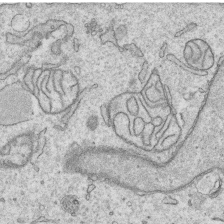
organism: Human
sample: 1205lu cells